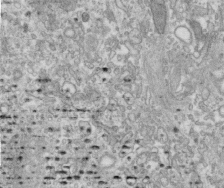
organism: Human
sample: Centriole in fibroblast cells